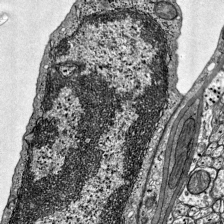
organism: Mouse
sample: Visual Cortex